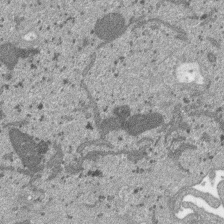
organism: Human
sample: Lung epithelial cells infected with SARS-CoV-2